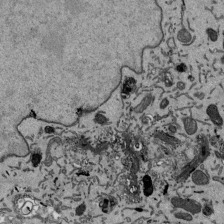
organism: Mouse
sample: ED-1 cell nuclei; centrioles